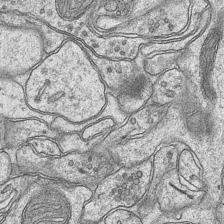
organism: Mouse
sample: CA1 Hippocampus